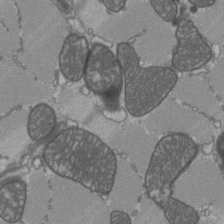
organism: C57BL Mouse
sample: Heart